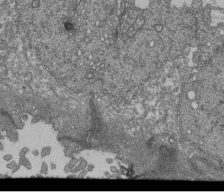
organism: Human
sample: Retinal organoid Rod and Cone cells